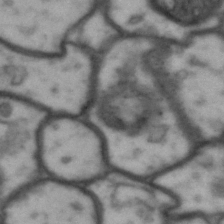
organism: Drosophila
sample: Brain